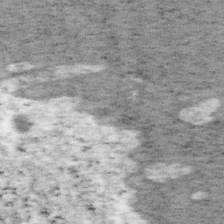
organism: Mouse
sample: OT-I killer T cells with ID8 ovarian cancer cells